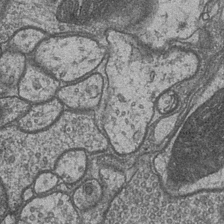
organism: Drosophila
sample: Optic medulla